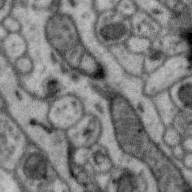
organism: Zebra finch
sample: Brain